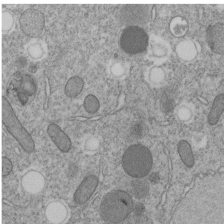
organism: C. elegans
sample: C. elegans embryo early stage